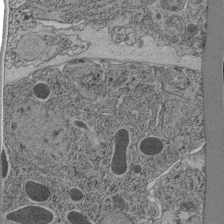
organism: C. elegans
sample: C. elegans pharynx